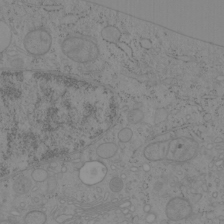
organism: Human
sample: HeLa cells